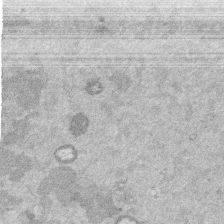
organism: Mouse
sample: Dividing mouse embryo 1 cell stage